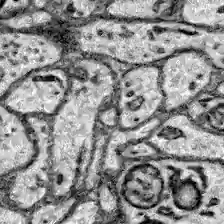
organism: Zebrafish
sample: Brain